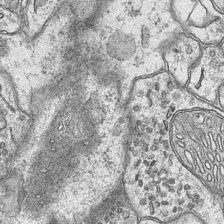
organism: Mouse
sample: CA1 Hippocampus